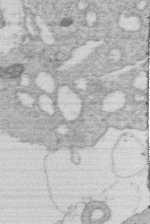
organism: Human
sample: Macrophage cells